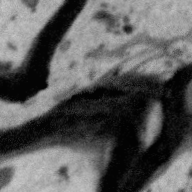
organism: Zebra finch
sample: Brain